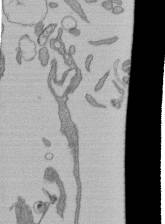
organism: Human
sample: Retinal organoid Rod and Cone cells